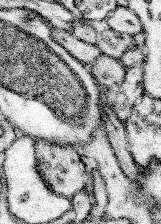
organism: Mouse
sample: Somatosensory cortex neuropil